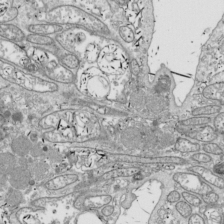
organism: Drosophila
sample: Cell division; meiosis; drosophila spermatocytes